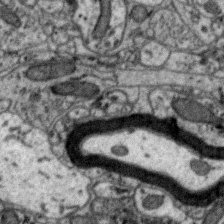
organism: Zebra finch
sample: Brain